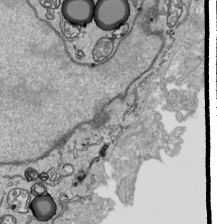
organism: Human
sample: Mitochondria in HCT116 cells